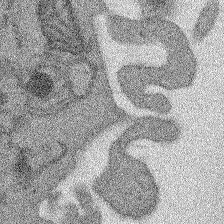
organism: Human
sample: HeLa cells